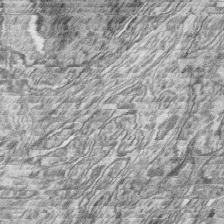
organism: Zebrafish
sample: synaptic ribbons in rod cells and cone cells